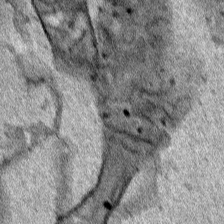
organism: Human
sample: Mitochondria in HCT116 cells